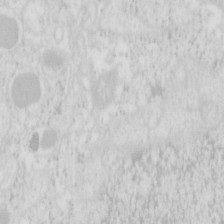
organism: Mouse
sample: Pancreas